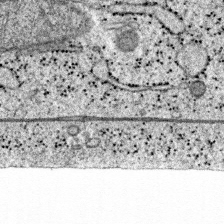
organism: Human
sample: HeLa cells